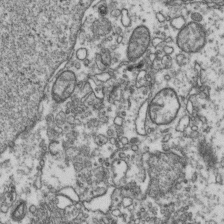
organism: Human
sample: Activated Jurkat CD4+ T cells